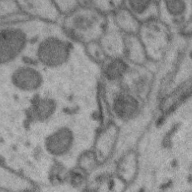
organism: Zebra finch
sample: Brain